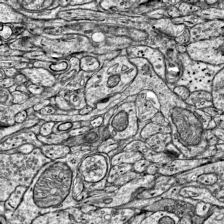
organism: Mouse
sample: Visual Cortex